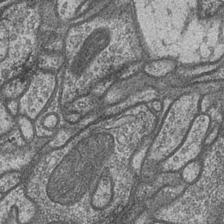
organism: Drosophila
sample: Optic medulla